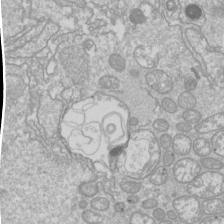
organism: Drosophila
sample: Cell division; meiosis; drosophila spermatocytes